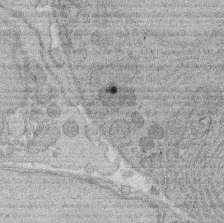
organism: Rat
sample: Salivary granule